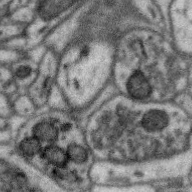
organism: Zebra finch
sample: Brain